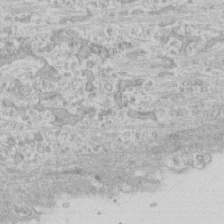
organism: Human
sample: CRL-1474